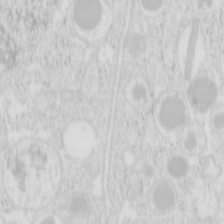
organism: Mouse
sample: Pancreas